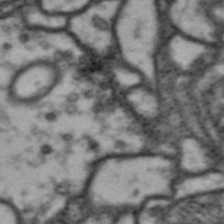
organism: Drosophila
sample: Brain